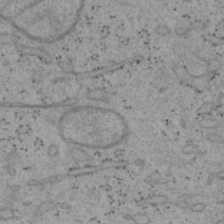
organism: Human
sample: HeLa cells